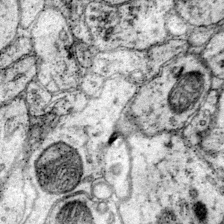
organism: Mouse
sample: Primary visual cortex